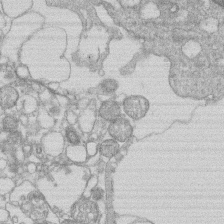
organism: Human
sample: Macrophage cells